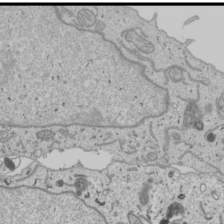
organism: Human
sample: Mitochondria in U2OS cells